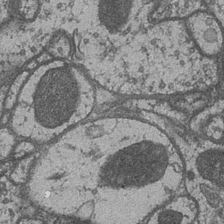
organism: Drosophila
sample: Optic medulla